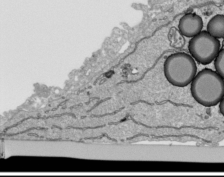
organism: Human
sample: Mitochondria in HCT116 cells